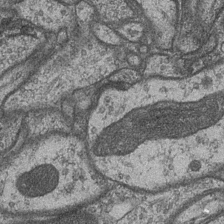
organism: Drosophila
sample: Optic medulla